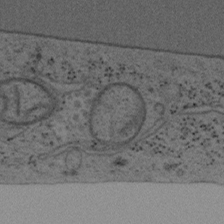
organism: Human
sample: HeLa cells